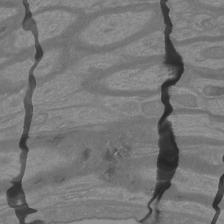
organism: Mouse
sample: Cortical neurons